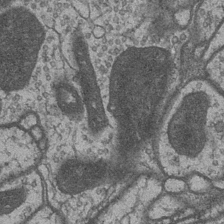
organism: Drosophila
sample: Optic medulla